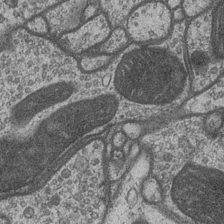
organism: Drosophila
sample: Optic medulla